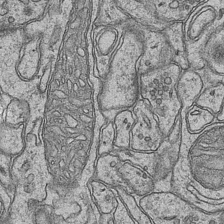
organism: Mouse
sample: CA1 Hippocampus